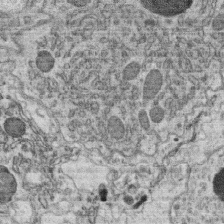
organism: C. elegans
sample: C. elegans oocyte; sperm cells